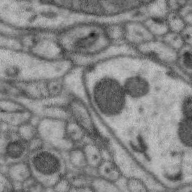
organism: Zebra finch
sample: Brain